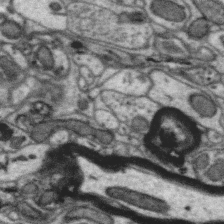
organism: Zebra finch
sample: Brain